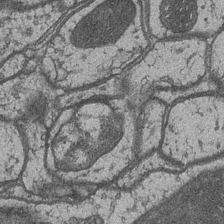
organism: Drosophila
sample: Optic medulla